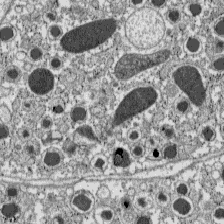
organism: C57BL Mouse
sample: Pancreatic islet